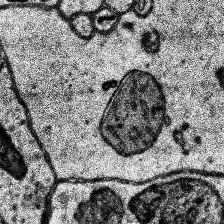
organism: Human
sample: Temporal Lobe